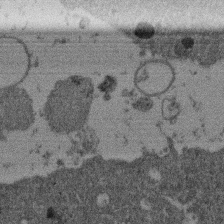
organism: Mouse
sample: Dividing mouse embryo 1 cell stage